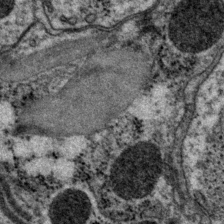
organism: P. pacificus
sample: Pharynx